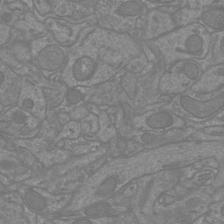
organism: Mouse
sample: Cortical neurons